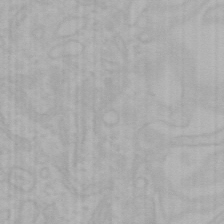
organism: Mouse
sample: Choroid plexus